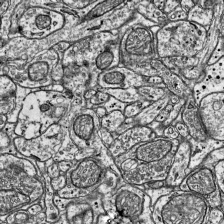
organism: Mouse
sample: Visual Cortex